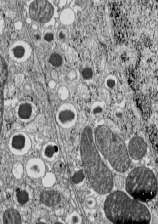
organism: C57BL Mouse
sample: Pancreatic islet